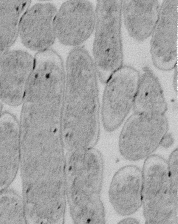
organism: E. coli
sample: Bacterial nucleoid